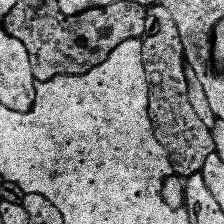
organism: Human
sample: Temporal Lobe